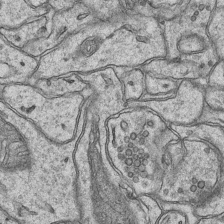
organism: Mouse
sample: CA1 Hippocampus